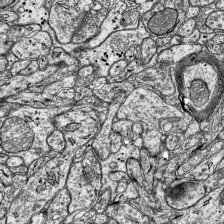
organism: Mouse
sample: Visual Cortex